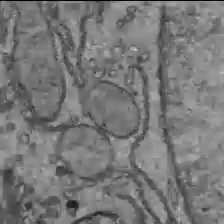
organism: C57BL Mouse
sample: Liver